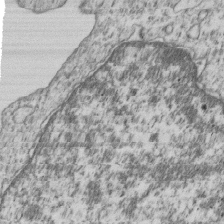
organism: Human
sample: MDA-MB-231 cells